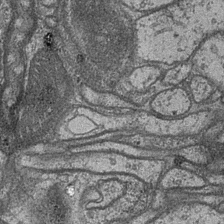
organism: Drosophila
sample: Optic medulla